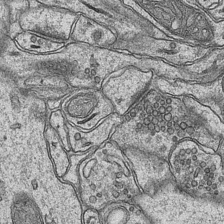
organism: Mouse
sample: CA1 Hippocampus